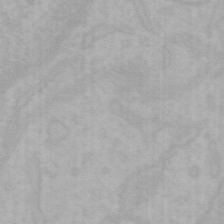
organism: Mouse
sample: Choroid plexus